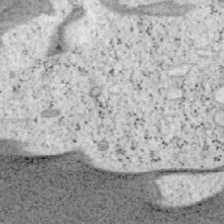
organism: Mouse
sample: OT-I killer T cells with ID8 ovarian cancer cells